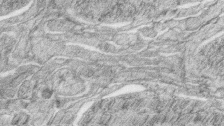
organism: Zebrafish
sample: synaptic ribbons in rod cells and cone cells